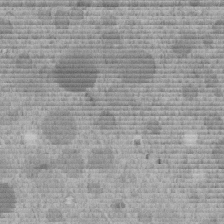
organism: C. elegans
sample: C. elegans embryo early stage